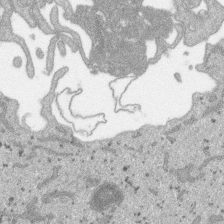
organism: Human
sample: Lung epithelial cells infected with SARS-CoV-2